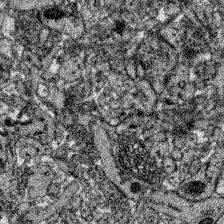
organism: Zebrafish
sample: Larval olfactory bulb